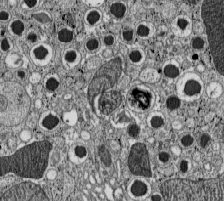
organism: C57BL Mouse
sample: Pancreatic islet